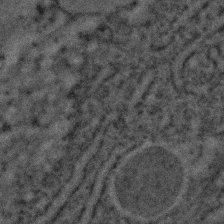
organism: C. elegans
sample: C. elegans embryo